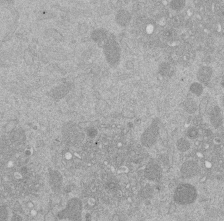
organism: Mouse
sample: Dividing mouse embryo 1 cell stage